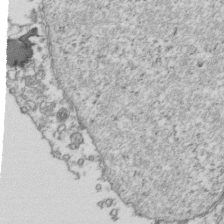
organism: Human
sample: Activated Jurkat CD4+ T cells